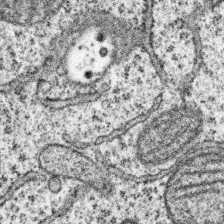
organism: Human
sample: HeLa cells